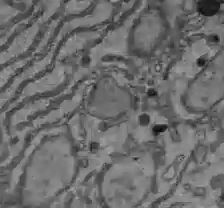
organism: C57BL Mouse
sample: Liver